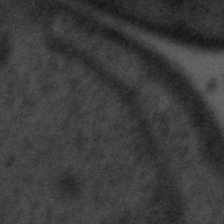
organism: Tuwongella immobilis